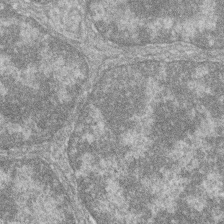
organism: Zebrafish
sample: Cilia; retinal pigment epithelium